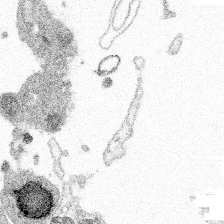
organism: Spongilla lacustris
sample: Multiple